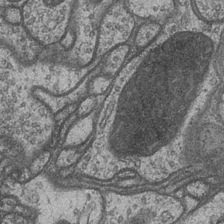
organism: Drosophila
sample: Optic medulla